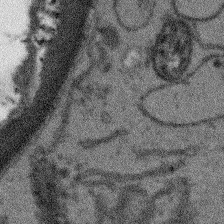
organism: Arabidopsis thaliana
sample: Root tip